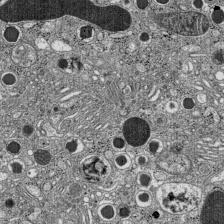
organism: C57BL Mouse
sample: Pancreatic islet